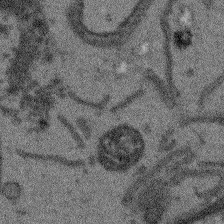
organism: Arabidopsis thaliana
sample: Root tip